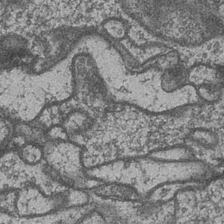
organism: Drosophila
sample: Optic medulla